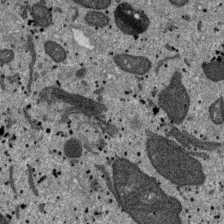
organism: Human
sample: Lung epithelial cells, uninfected (mock) control